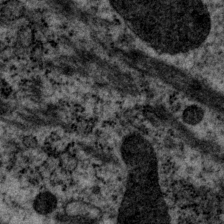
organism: P. pacificus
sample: Pharynx